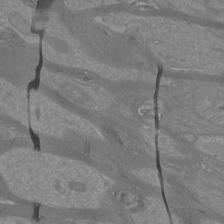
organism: Mouse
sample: Cortical neurons